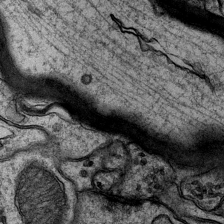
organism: Mouse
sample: CA1 Hippocampus